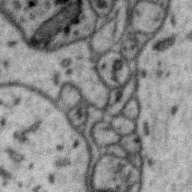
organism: Zebra finch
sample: Brain